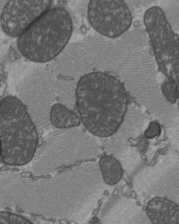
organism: C57BL Mouse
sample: Heart